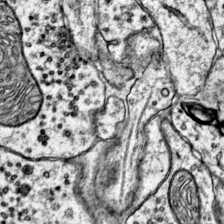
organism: Mouse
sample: Primary visual cortex